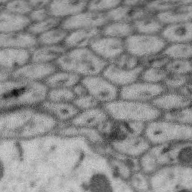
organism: Zebra finch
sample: Brain